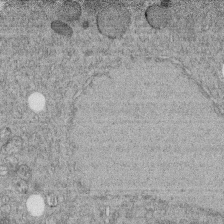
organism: C. elegans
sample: C. elegans embryo early stage